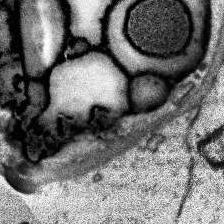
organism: Human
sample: Temporal Lobe